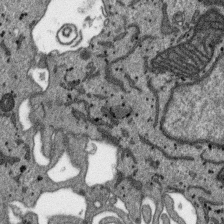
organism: Human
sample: Lung epithelial cells, uninfected (mock) control